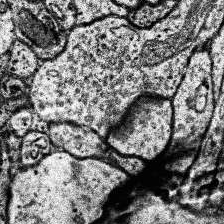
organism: Human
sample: Temporal Lobe